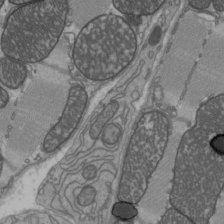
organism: C57BL Mouse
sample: Heart